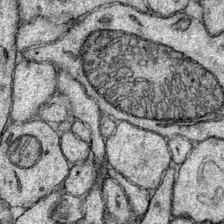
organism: Mouse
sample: Primary visual cortex